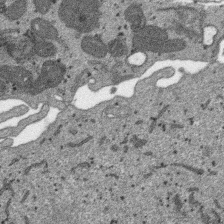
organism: Human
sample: Lung epithelial cells infected with SARS-CoV-2